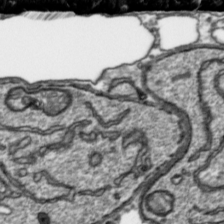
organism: Toxoplasma gondii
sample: Parasites in a vacuole inside a host cell